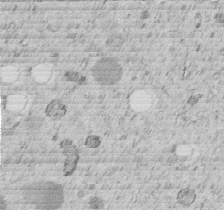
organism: C. elegans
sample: C. elegans embryo early stage